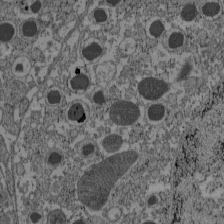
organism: C57BL Mouse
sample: Pancreatic islet